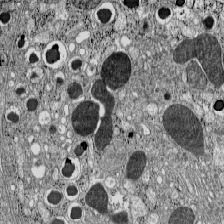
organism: C57BL Mouse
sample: Pancreatic islet